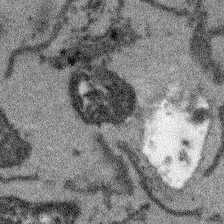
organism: Arabidopsis thaliana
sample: Root tip